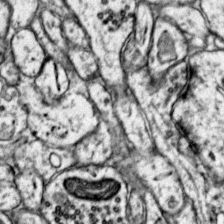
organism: Mouse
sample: Primary visual cortex